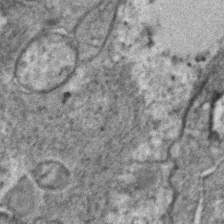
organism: C. elegans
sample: C. elegans embryo